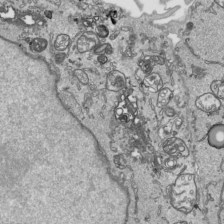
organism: Human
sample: Mitochondria in HCT116 cells